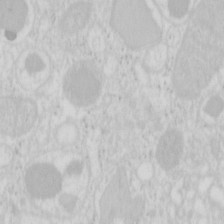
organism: Mouse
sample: Pancreas